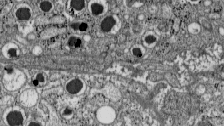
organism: C57BL Mouse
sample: Pancreatic islet